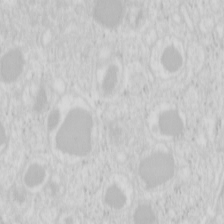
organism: Mouse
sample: Pancreas